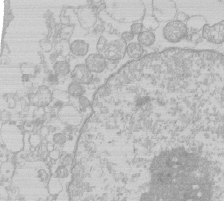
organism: Human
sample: Macrophage cells